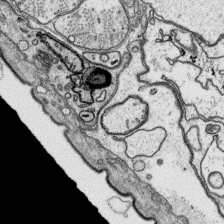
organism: Platynereis dumerilii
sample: Parapodia